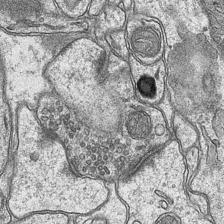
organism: Mouse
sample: CA1 Hippocampus